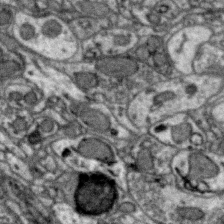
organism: Zebra finch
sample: Brain